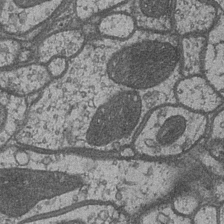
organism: Drosophila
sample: Optic medulla